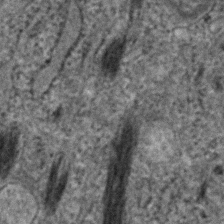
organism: Human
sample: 1205lu cells